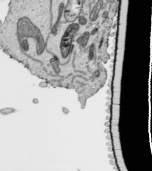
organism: Human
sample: Mitochondria in HCT116 cells